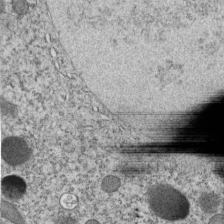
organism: C. elegans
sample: C. elegans embryo early stage